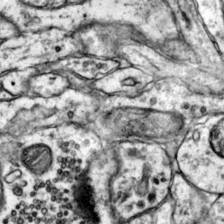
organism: Mouse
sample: Primary visual cortex